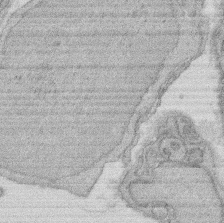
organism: Rat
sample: Salivary granule